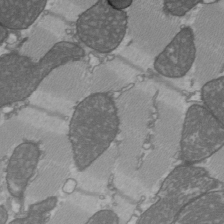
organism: C57BL Mouse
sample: Heart